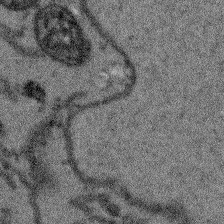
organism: Arabidopsis thaliana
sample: Root tip